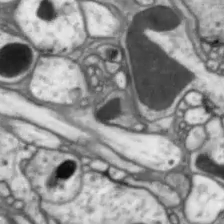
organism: Drosophila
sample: Optic lobe